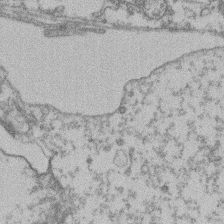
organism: Mouse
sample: T cell stromal cell synapse